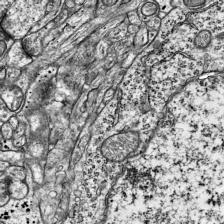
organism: Mouse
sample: Visual Cortex